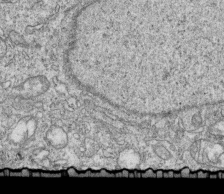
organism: Human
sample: HeLa cell HIV synapse